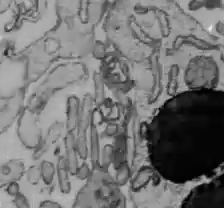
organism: C57BL Mouse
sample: Liver